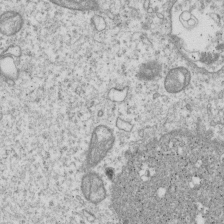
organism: Human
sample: MDA-MB-231 cells